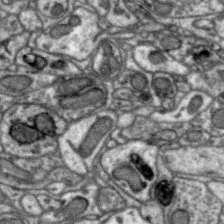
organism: Zebra finch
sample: Brain